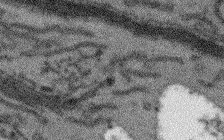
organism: Arabidopsis thaliana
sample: Root tip